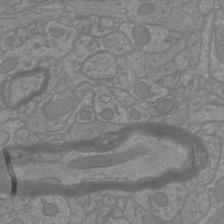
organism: Mouse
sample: Cortical neurons